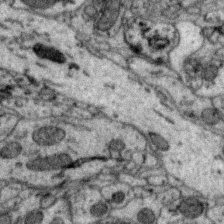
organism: Zebra finch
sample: Brain